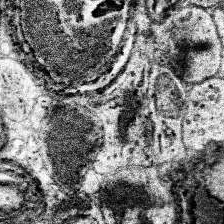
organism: Human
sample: Temporal Lobe